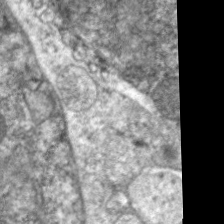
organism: C. elegans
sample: Pharynx